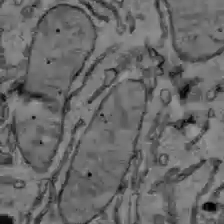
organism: C57BL Mouse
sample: Liver